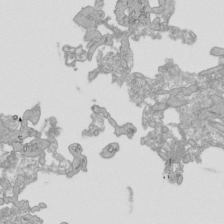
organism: Human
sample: Mitochondria in HCT116 cells